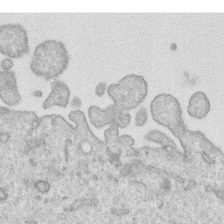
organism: Human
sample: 1205lu cells